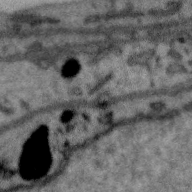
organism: Zebra finch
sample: Brain